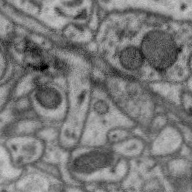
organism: Zebra finch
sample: Brain